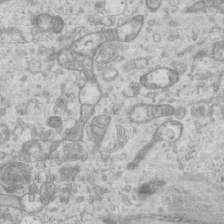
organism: Mouse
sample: Centriole in ependymal cells